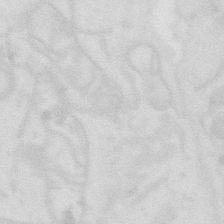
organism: Human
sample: HeLa cells